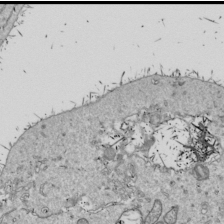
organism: Drosophila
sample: Cell division; meiosis; drosophila spermatocytes